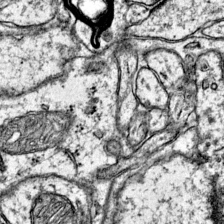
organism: Mouse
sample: Primary visual cortex